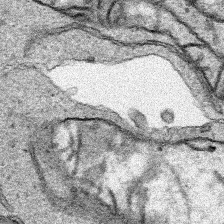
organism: Human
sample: Mitochondria in HCT116 cells